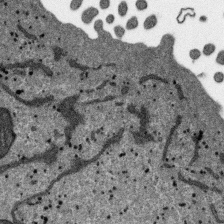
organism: Human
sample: Lung epithelial cells, uninfected (mock) control